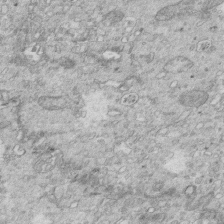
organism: Mouse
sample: Multiciliated cells